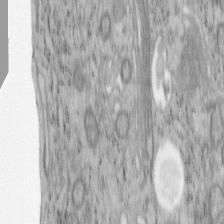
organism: Human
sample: HeLa cells